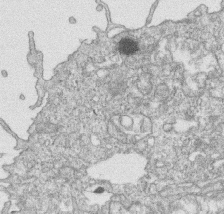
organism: Human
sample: HeLa cell HIV synapse